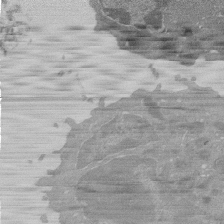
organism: Mouse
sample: Activated Pmel transgenic CD8+ T Cells